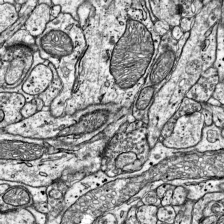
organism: Mouse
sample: Visual Cortex